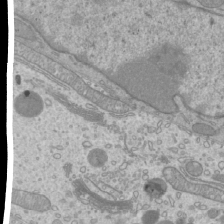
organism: Mouse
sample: Cilia; mouse epididymis